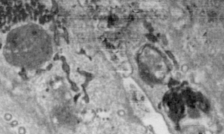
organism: Toxoplasma gondii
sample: Parasites in a vacuole inside a host cell